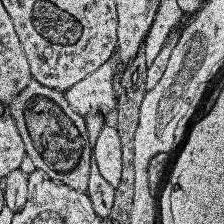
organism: Human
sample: Temporal Lobe